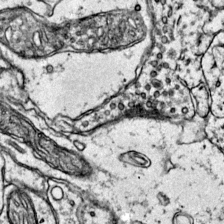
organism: Mouse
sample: Primary visual cortex